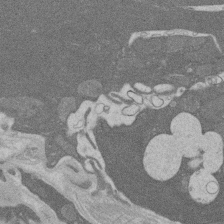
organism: Rat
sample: Salivary granule